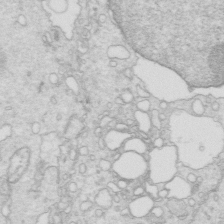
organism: Mouse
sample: Multiciliated cells